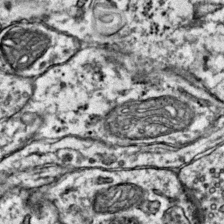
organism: Mouse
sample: Primary visual cortex